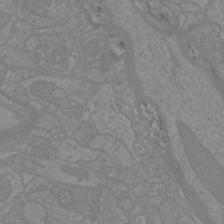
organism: Mouse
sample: Cortical neurons